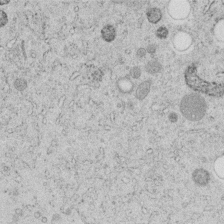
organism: C. elegans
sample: C. elegans embryo early stage